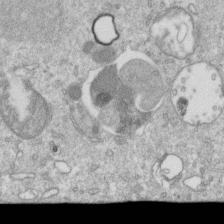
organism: Mouse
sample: Activated OT-1 CD8+ T cells